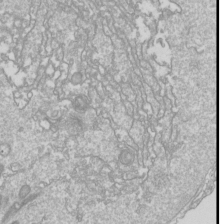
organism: Drosophila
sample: Cell division; meiosis; drosophila spermatocytes